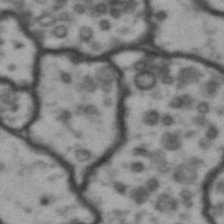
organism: Drosophila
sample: Brain